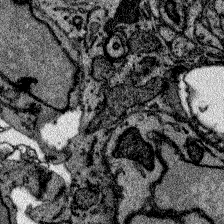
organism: Zebrafish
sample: Larval olfactory bulb